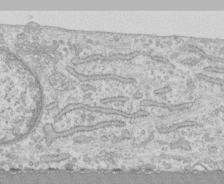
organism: Human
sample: CRL-1474